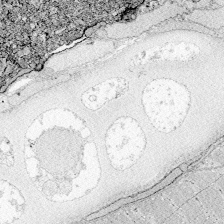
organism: Zebrafish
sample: Whole-Brain